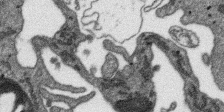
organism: Human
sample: Lung epithelial cells infected with SARS-CoV-2